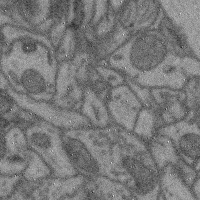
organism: Mouse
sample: Cerebral cortex